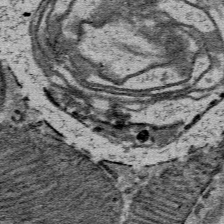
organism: Mouse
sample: Mouse Salivary gland